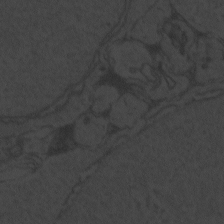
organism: Zebrafish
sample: Macrophage infected with Toxoplasma gondii